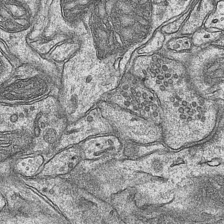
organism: Mouse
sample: CA1 Hippocampus